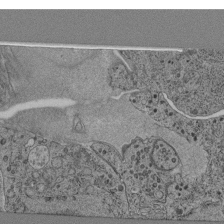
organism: C. elegans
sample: C. elegans pharynx